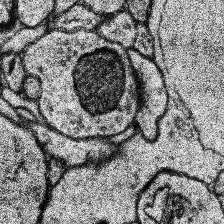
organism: Human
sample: Temporal Lobe